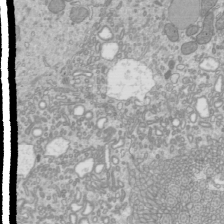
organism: Mouse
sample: Cilia; mouse epididymis